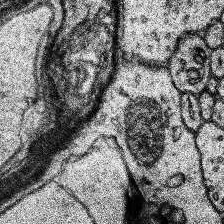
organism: Human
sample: Temporal Lobe